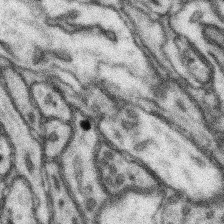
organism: Mouse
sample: Somatosensory cortex neuropil